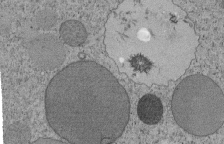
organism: Tetrahymena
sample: Cilia in tetrahymena